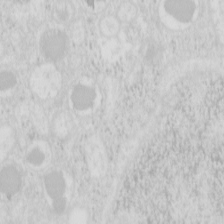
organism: Mouse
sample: Pancreas